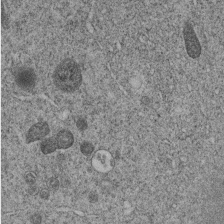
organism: C. elegans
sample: C. elegans embryo early stage